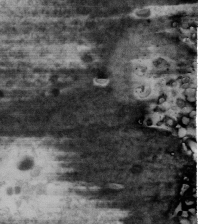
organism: Human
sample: U2-OS cells